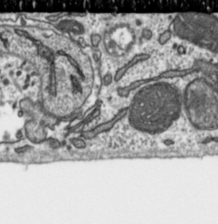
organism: Toxoplasma gondii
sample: Parasites in a vacuole inside a host cell